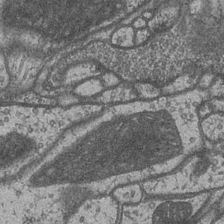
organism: Drosophila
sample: Optic medulla